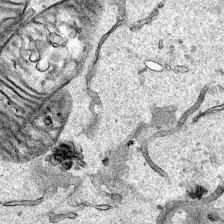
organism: Human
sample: Mitochondria in HCT116 cells